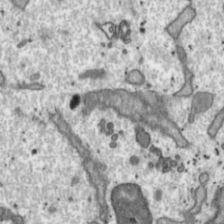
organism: Toxoplasma gondii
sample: Parasites in a vacuole inside a host cell